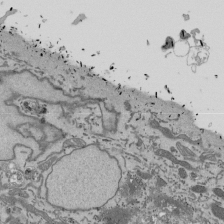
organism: Mouse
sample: ED-1 cell nuclei; centrioles